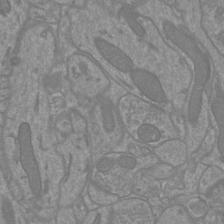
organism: Mouse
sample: Cortical neurons